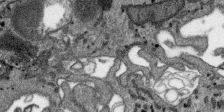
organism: Human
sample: Lung epithelial cells, uninfected (mock) control